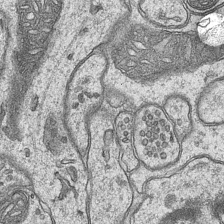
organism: Mouse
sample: CA1 Hippocampus